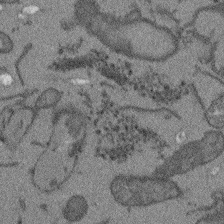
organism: Arabidopsis thaliana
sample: Root tip